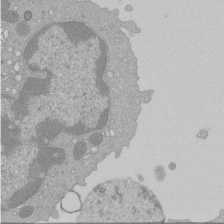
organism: Mouse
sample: Activated Pmel transgenic CD8+ T Cells